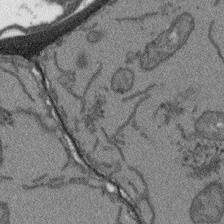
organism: Arabidopsis thaliana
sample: Root tip